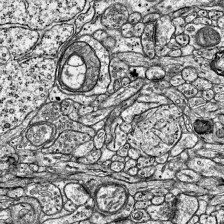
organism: Mouse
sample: Visual Cortex